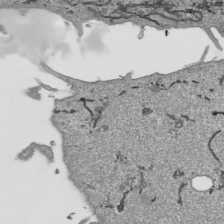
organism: Human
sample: Mitochondria in HCT116 cells